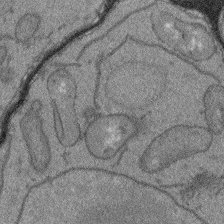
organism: Arabidopsis thaliana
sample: Root tip